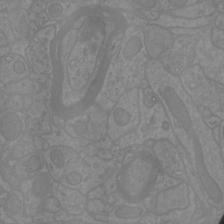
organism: Mouse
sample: Cortical neurons